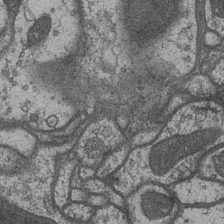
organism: Drosophila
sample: Optic medulla